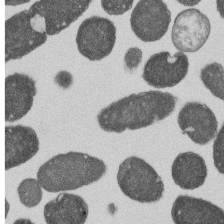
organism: E. coli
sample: Bacterial nucleoid